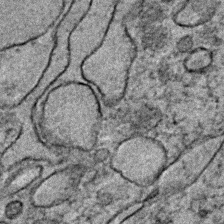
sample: Trachea